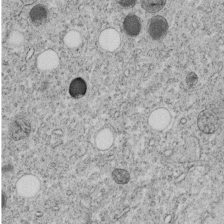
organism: C. elegans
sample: C. elegans embryo early stage